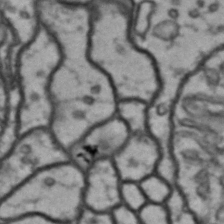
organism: Drosophila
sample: Brain